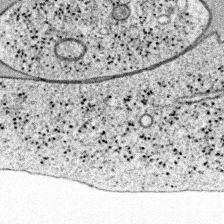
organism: Human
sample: HeLa cells